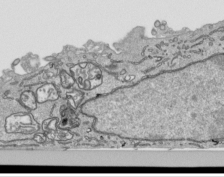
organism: Human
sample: Mitochondria in HCT116 cells